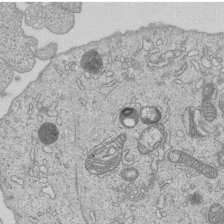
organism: Human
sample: MDA-MB-231 cells